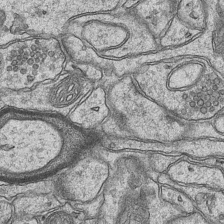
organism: Mouse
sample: CA1 Hippocampus